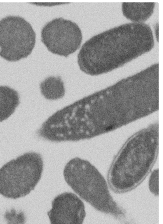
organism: E. coli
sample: Bacterial nucleoid